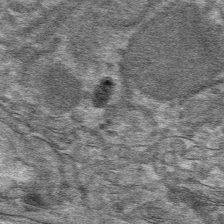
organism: Mouse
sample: Mouse hepatocytes